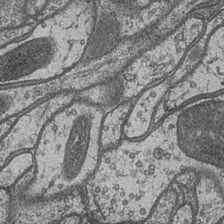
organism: Drosophila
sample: Optic medulla